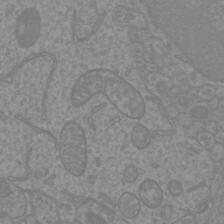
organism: Mouse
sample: Cortical neurons